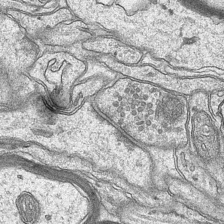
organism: Mouse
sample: CA1 Hippocampus